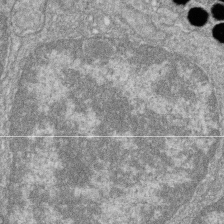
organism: Zebrafish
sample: Cilia; retinal pigment epithelium